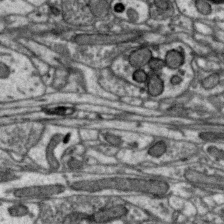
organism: Zebra finch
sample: Brain